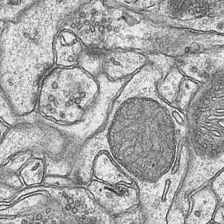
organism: Mouse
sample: CA1 Hippocampus